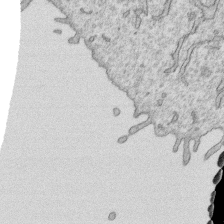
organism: Human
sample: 1205lu cells